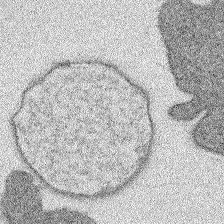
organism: Human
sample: HeLa cells